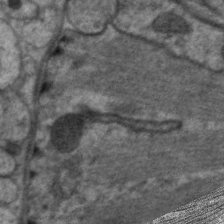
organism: C. elegans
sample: Pharynx